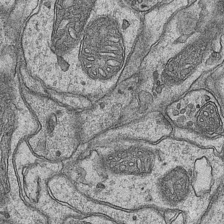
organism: Mouse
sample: CA1 Hippocampus